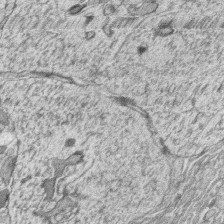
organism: Zebrafish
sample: synaptic ribbons in rod cells and cone cells